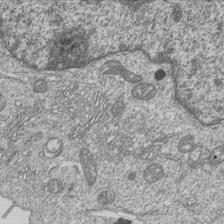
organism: Human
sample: MDA-MB-231 cells